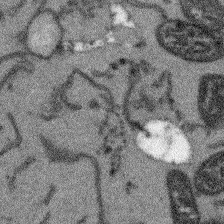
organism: Arabidopsis thaliana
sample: Root tip